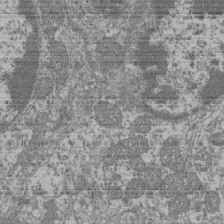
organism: Mouse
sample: Glomerulus